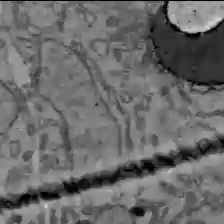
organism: C57BL Mouse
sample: Liver